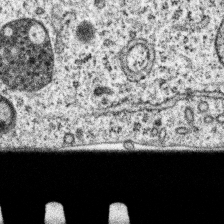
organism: Human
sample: HeLa cells